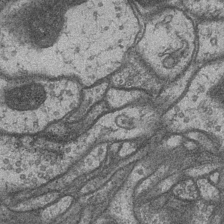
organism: Drosophila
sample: Optic medulla